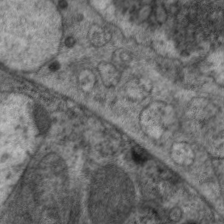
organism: C. elegans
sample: Pharynx